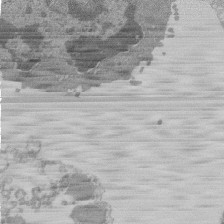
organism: Mouse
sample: Activated Pmel transgenic CD8+ T Cells